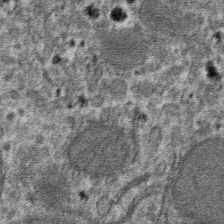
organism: Mouse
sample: Mouse hepatocytes